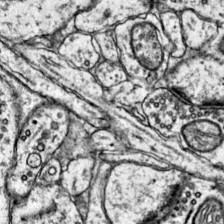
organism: Mouse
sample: Primary visual cortex